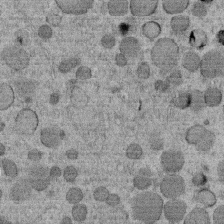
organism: C. elegans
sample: C. elegans embryo early stage